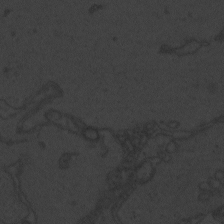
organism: Zebrafish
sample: Macrophage infected with Toxoplasma gondii